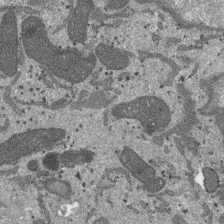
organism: Human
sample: Lung epithelial cells infected with SARS-CoV-2